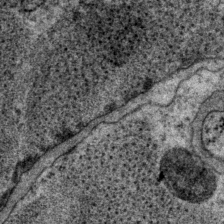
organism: P. pacificus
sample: Pharynx